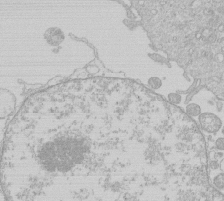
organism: Human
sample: Macrophage cells